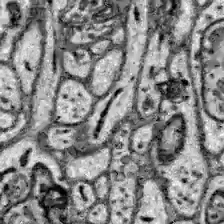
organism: Zebrafish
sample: Brain